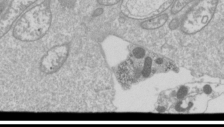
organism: Drosophila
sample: Cell division; meiosis; drosophila spermatocytes